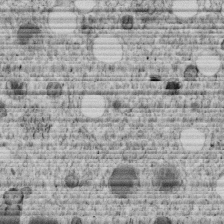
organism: C. elegans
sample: C. elegans embryo early stage